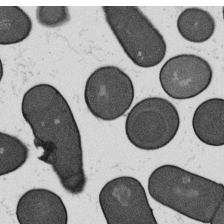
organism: B. subtilis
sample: Bacterial spore